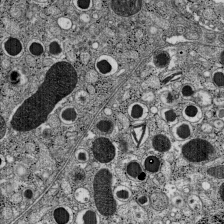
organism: C57BL Mouse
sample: Pancreatic islet